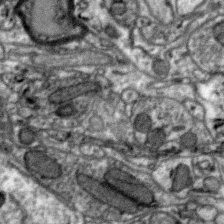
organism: Zebra finch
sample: Brain